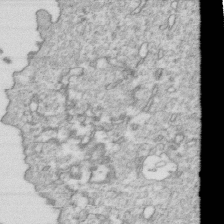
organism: Mouse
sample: Activated OT-1 CD8+ T cells